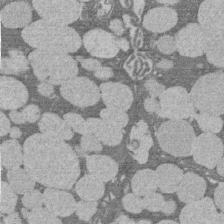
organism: Rat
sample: Salivary granule